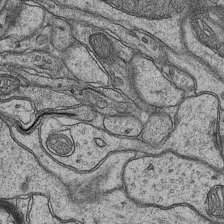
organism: Mouse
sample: CA1 Hippocampus